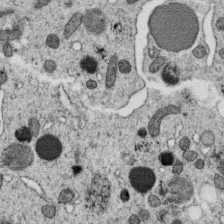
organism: C. elegans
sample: C. elegans oocyte; sperm cells